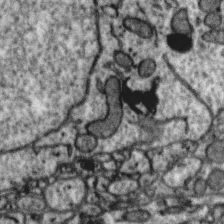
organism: Zebra finch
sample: Brain